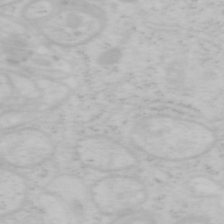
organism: Mouse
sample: OT-I killer T cells with ID8 ovarian cancer cells